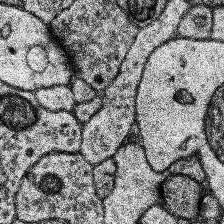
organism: Human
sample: Temporal Lobe